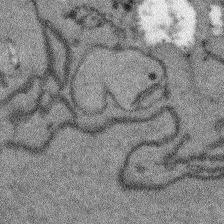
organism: Arabidopsis thaliana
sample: Root tip